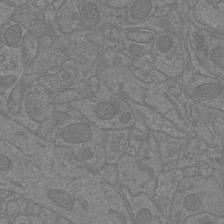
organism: Mouse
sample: Cortical neurons